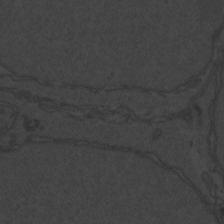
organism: Zebrafish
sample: Macrophage infected with Toxoplasma gondii